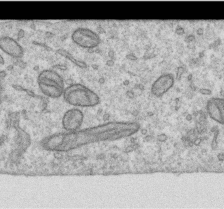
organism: Human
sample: Centriole in RPE cells